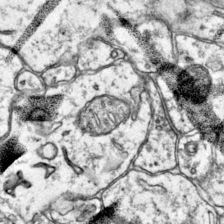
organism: Mouse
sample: Primary visual cortex